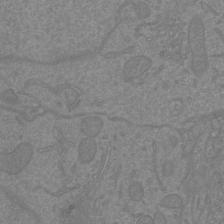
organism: Mouse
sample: Cortical neurons